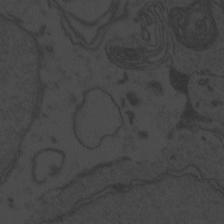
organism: Zebrafish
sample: Macrophage infected with Toxoplasma gondii